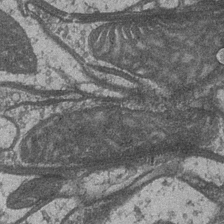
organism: Drosophila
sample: Optic medulla